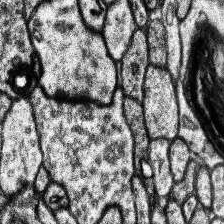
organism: Human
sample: Temporal Lobe